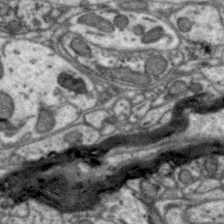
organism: Zebra finch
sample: Brain